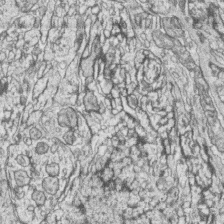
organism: Zebrafish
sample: synaptic ribbons in rod cells and cone cells